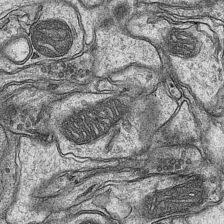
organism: Mouse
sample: CA1 Hippocampus